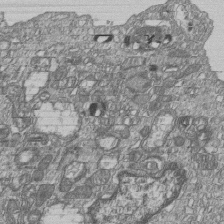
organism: Human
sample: MDA-MB-231 cells